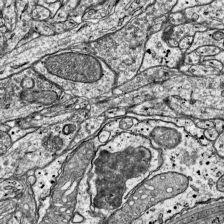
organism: Mouse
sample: Visual Cortex